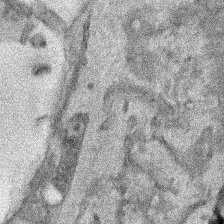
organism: Human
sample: Mitochondria in HCT116 cells